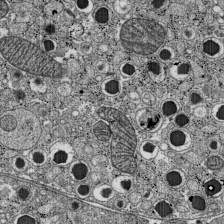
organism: C57BL Mouse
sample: Pancreatic islet